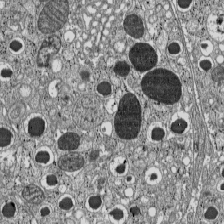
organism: C57BL Mouse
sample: Pancreatic islet